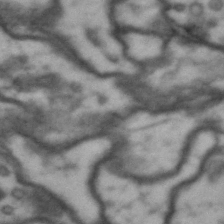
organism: Drosophila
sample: Brain